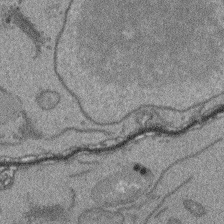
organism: Arabidopsis thaliana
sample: Root tip